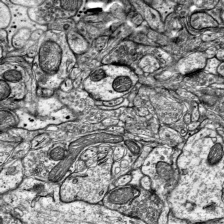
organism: Mouse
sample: Visual Cortex